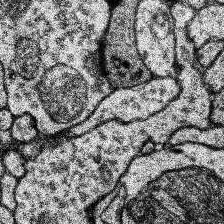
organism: Human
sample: Temporal Lobe